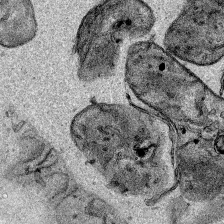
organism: Human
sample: Mitochondria in HCT116 cells